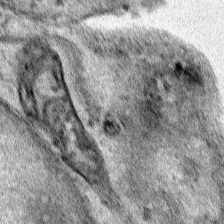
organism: Human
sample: Mitochondria in HCT116 cells